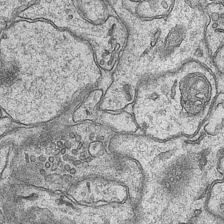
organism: Mouse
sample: CA1 Hippocampus